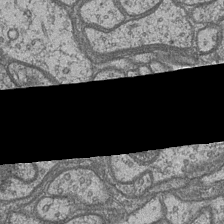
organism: Drosophila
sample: Optic medulla